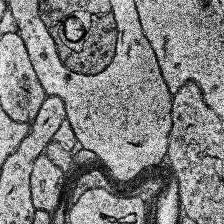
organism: Human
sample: Temporal Lobe